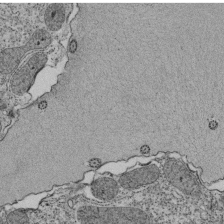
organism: Tetrahymena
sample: Cilia in tetrahymena